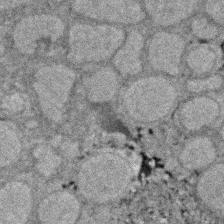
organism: Zebrafish